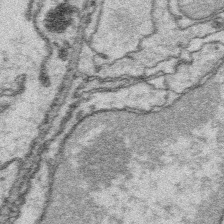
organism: Platynereis dumerilii